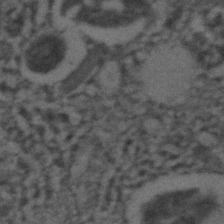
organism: C. elegans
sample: C. elegans embryo